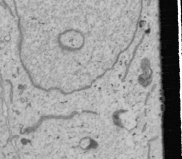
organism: Human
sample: Mitochondria in U2OS cells